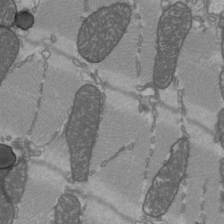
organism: C57BL Mouse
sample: Heart